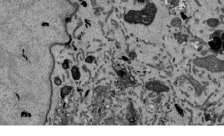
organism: Mouse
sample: ED-1 cell nuclei; centrioles